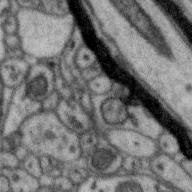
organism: Zebra finch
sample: Brain